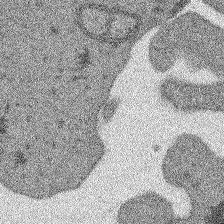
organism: Human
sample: HeLa cells